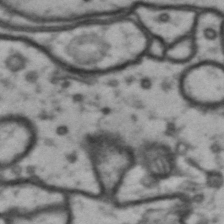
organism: Drosophila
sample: Brain